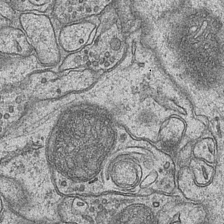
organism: Mouse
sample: CA1 Hippocampus